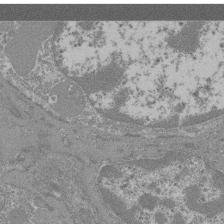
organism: Mouse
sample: Glomerulus